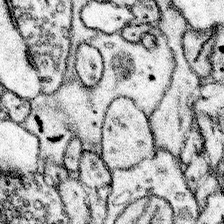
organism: Mouse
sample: Somatosensory cortex neuropil